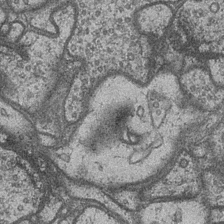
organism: Drosophila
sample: Optic medulla